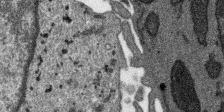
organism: Human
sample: Lung epithelial cells infected with SARS-CoV-2